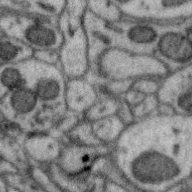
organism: Zebra finch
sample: Brain